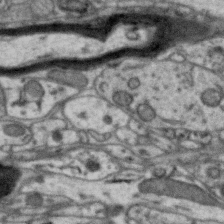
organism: Zebra finch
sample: Brain